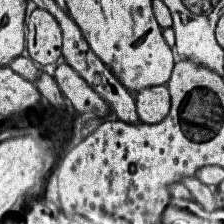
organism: Human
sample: Temporal Lobe